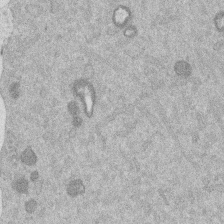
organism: Mouse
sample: Dividing mouse embryo 1 cell stage